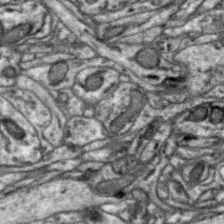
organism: Zebra finch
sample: Brain